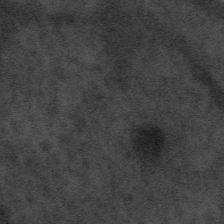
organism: Tuwongella immobilis